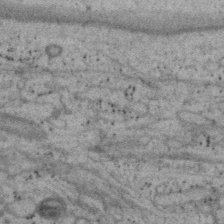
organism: Human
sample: HeLa cells